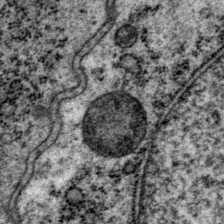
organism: P. pacificus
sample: Pharynx